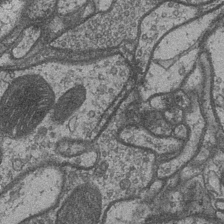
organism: Drosophila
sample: Optic medulla